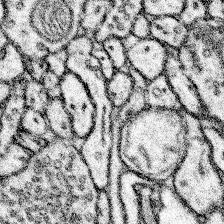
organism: Mouse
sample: Somatosensory cortex neuropil